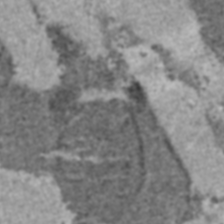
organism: C57BL Mouse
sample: Heart